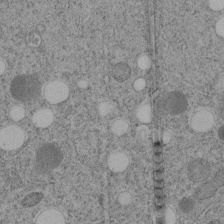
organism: C. elegans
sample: C. elegans embryo early stage